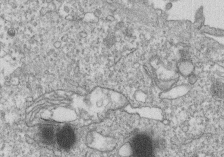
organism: Human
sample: HeLa cell HIV synapse